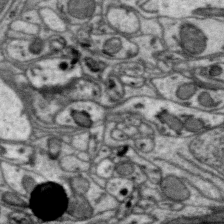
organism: Zebra finch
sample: Brain